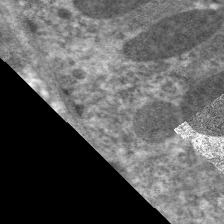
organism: C. elegans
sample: Pharynx